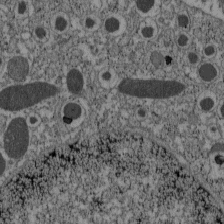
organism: C57BL Mouse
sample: Pancreatic islet